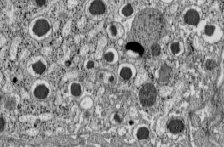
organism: C57BL Mouse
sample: Pancreatic islet